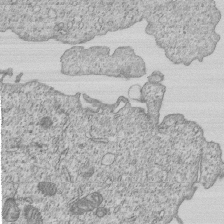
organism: Human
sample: MDA-MB-231 cells